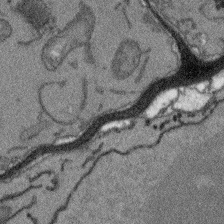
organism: Arabidopsis thaliana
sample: Root tip